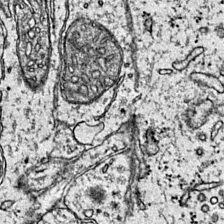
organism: Mouse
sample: Primary visual cortex